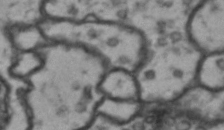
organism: Drosophila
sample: Brain